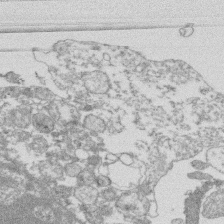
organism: Human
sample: HeLa cell HIV synapse